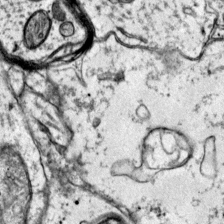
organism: Mouse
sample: Primary visual cortex